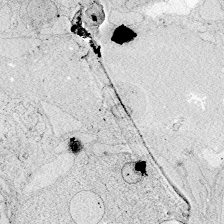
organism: Zebrafish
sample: Whole-Brain